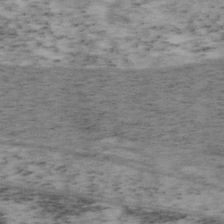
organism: Mouse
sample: OT-I killer T cells with ID8 ovarian cancer cells